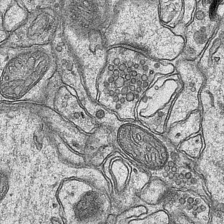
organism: Mouse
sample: CA1 Hippocampus